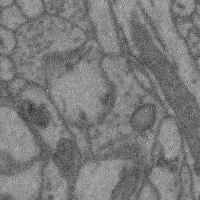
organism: Mouse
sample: Cerebral cortex